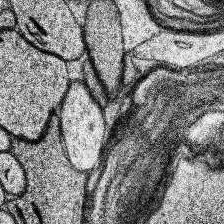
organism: Human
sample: Temporal Lobe